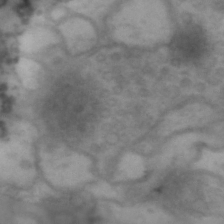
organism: Drosophila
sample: Brain